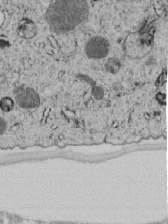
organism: C. elegans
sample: C. elegans embryo early stage